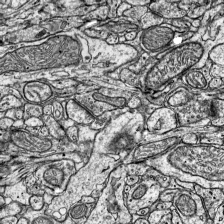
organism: Mouse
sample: Visual Cortex